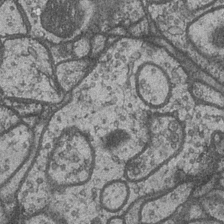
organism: Drosophila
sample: Optic medulla